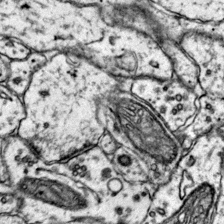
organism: Mouse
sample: Primary visual cortex